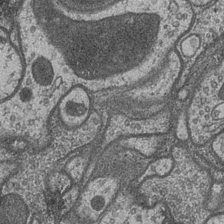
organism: Drosophila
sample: Optic medulla